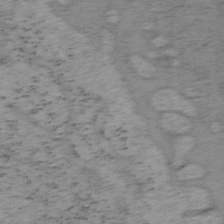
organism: Mouse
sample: OT-I killer T cells with ID8 ovarian cancer cells